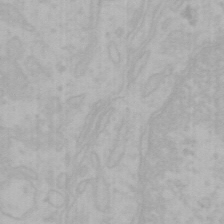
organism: Mouse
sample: Choroid plexus